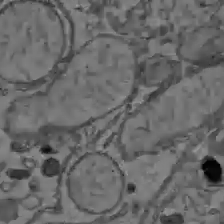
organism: C57BL Mouse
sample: Liver